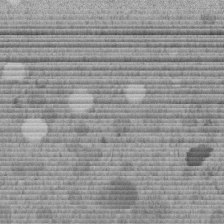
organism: C. elegans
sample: C. elegans embryo early stage